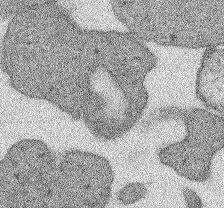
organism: Human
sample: HeLa cells